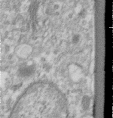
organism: Human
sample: Centriole in RPE cells